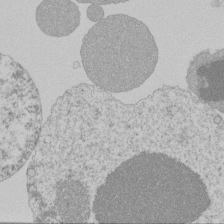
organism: Mouse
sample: Activated Pmel transgenic CD8+ T Cells